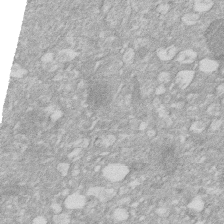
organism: Human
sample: HIV infected U937 cells